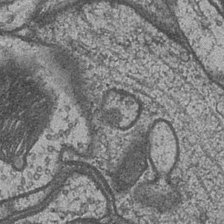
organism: Drosophila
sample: Optic medulla